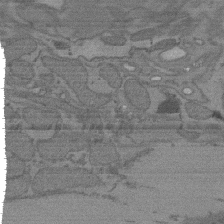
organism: C. elegans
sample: AFD neurons C. elegans